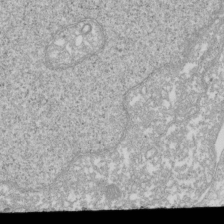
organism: Xenopus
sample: Cilia; centrioles in frog embryo cells